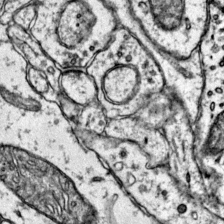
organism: Mouse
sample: Primary visual cortex